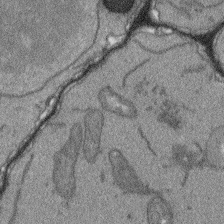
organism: Arabidopsis thaliana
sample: Root tip